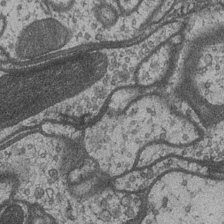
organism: Drosophila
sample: Optic medulla